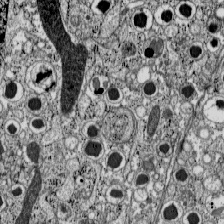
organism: C57BL Mouse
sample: Pancreatic islet